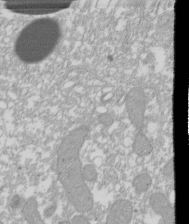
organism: Xenopus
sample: Cilia; centrioles in frog embryo cells